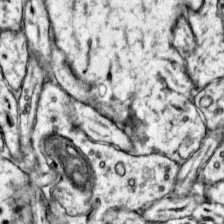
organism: Mouse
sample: Primary visual cortex